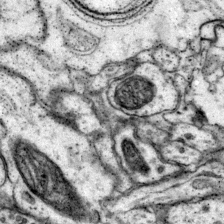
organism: Mouse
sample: Primary visual cortex